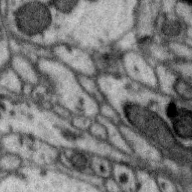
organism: Zebra finch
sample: Brain